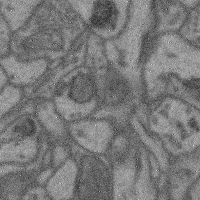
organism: Mouse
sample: Cerebral cortex